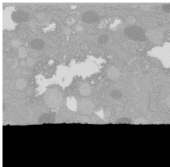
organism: C. elegans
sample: C. elegans oocyte; sperm cells